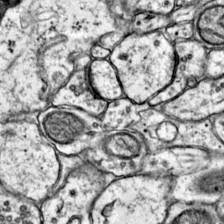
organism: Mouse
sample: Primary visual cortex